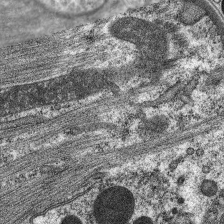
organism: C. elegans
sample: Pharynx